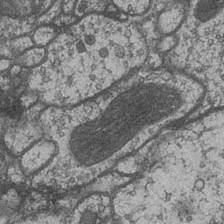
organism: Drosophila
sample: Optic medulla